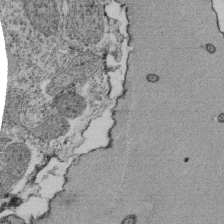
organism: Tetrahymena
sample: Cilia in tetrahymena